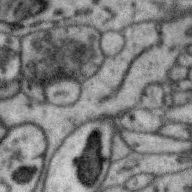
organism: Zebra finch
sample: Brain